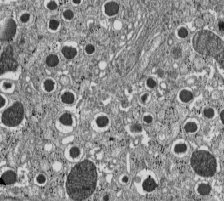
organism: C57BL Mouse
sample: Pancreatic islet